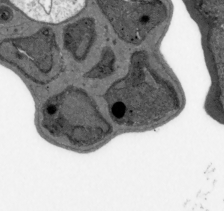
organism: Plasmodium falciparum